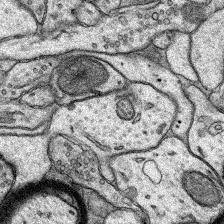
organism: Rat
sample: Hippocampus